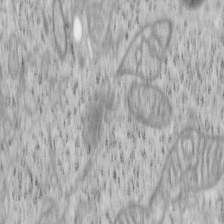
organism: Human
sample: HeLa cells